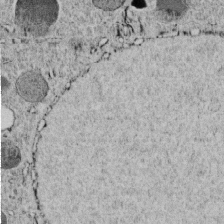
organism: C. elegans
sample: C. elegans embryo early stage